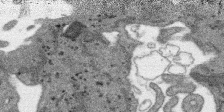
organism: Human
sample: Lung epithelial cells infected with SARS-CoV-2